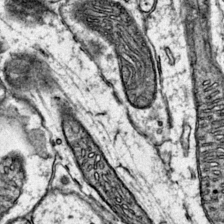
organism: Mouse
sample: Primary visual cortex